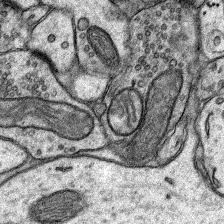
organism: Rat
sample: Hippocampus